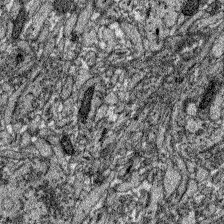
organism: Zebrafish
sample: Larval olfactory bulb